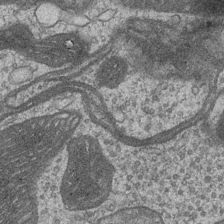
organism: Drosophila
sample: Optic medulla